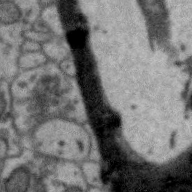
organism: Zebra finch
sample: Brain